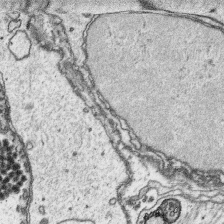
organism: Platynereis dumerilii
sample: Parapodia